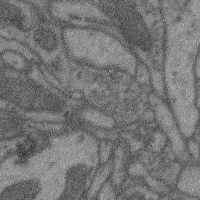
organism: Mouse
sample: Cerebral cortex